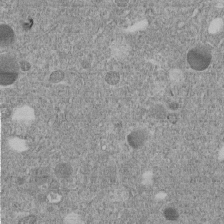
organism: C. elegans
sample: C. elegans embryo early stage